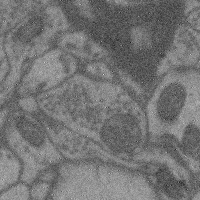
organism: Mouse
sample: Cerebral cortex